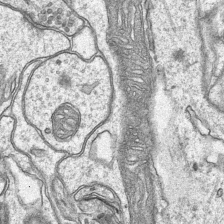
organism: Mouse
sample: CA1 Hippocampus